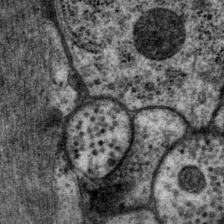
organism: P. pacificus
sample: Pharynx